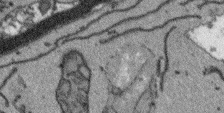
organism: Arabidopsis thaliana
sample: Root tip